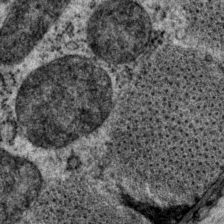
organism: P. pacificus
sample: Pharynx